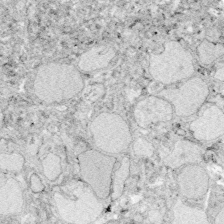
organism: Zebrafish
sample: Whole-Brain